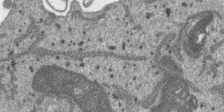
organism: Human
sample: Lung epithelial cells infected with SARS-CoV-2